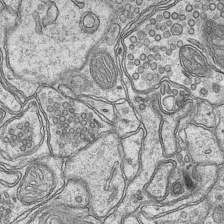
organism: Mouse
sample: CA1 Hippocampus